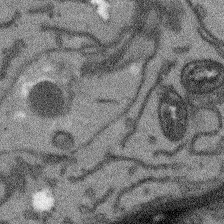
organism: Arabidopsis thaliana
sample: Root tip